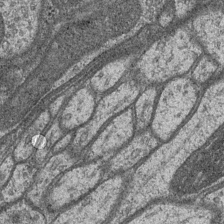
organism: Drosophila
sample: Optic medulla